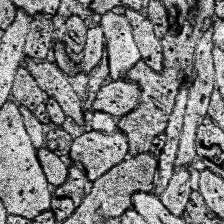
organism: Human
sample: Temporal Lobe